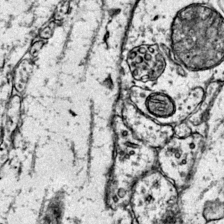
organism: Mouse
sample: Primary visual cortex